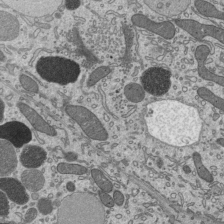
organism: Mouse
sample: Mouse epididymis efferent ductule cilia